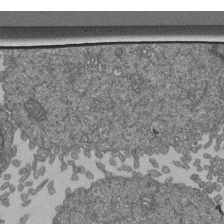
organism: Human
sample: Retinal organoid Rod and Cone cells